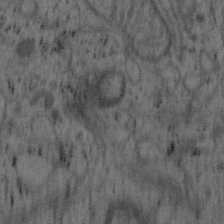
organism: Human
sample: HeLa cells